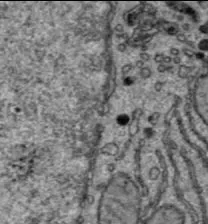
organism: C57BL Mouse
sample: Liver